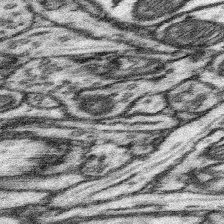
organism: Mouse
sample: Somatosensory cortex neuropil